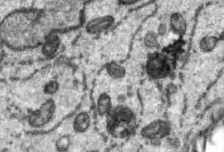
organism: Human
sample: HeLa cells